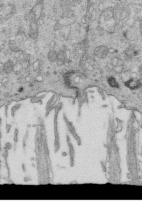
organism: Mouse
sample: Multiciliated cells